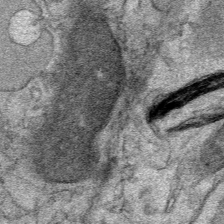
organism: Mouse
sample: Mouse Salivary gland